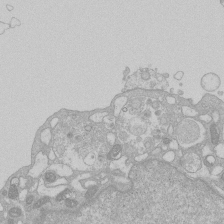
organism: Human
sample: Macrophage cells